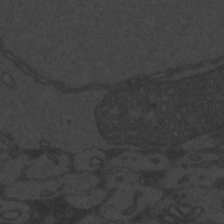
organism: Zebrafish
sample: Macrophage infected with Toxoplasma gondii